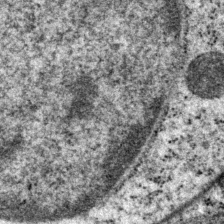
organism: P. pacificus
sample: Pharynx